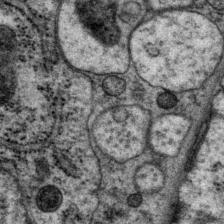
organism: P. pacificus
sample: Pharynx